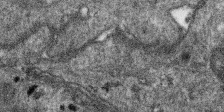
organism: Human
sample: Lung epithelial cells infected with SARS-CoV-2